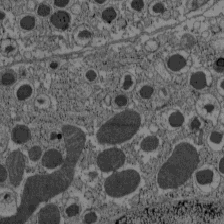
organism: C57BL Mouse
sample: Pancreatic islet